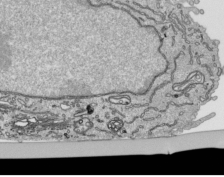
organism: Human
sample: Mitochondria in HCT116 cells